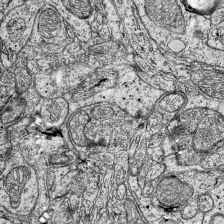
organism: Mouse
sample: Visual Cortex